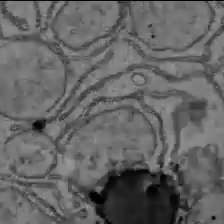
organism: C57BL Mouse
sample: Liver